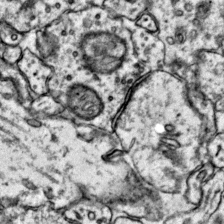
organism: Mouse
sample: Primary visual cortex